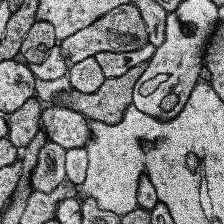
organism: Human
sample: Temporal Lobe